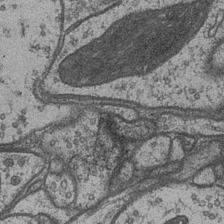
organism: Drosophila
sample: Optic medulla